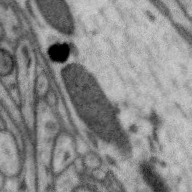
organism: Zebra finch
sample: Brain